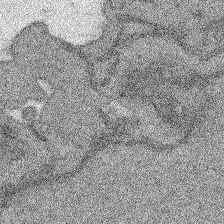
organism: Human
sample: HeLa cells